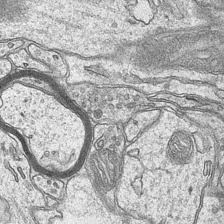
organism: Mouse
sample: CA1 Hippocampus